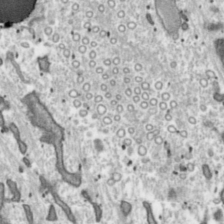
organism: Toxoplasma gondii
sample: Parasites in a vacuole inside a host cell